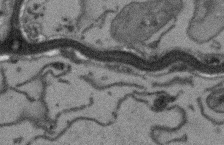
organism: Arabidopsis thaliana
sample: Root tip